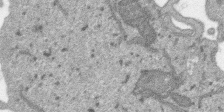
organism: Human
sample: Lung epithelial cells infected with SARS-CoV-2